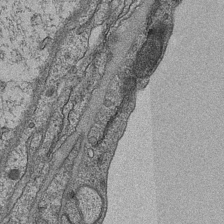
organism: Mouse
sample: CA1 Hippocampus